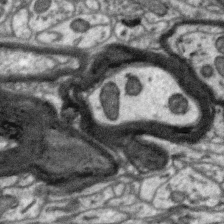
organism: Zebra finch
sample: Brain